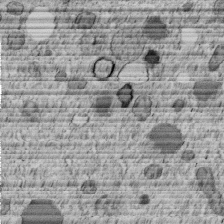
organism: C. elegans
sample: C. elegans embryo early stage